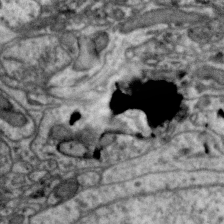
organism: Zebra finch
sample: Brain